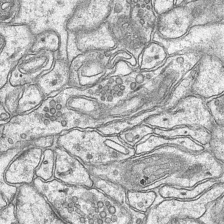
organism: Mouse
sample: CA1 Hippocampus